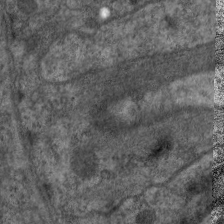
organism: C. elegans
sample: Pharynx